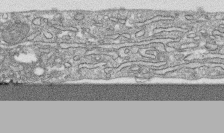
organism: Human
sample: CRL-1474